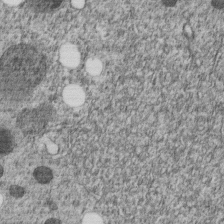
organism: C. elegans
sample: C. elegans embryo early stage